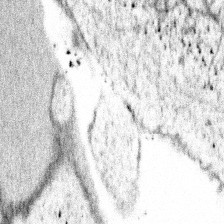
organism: Human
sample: HeLa cells